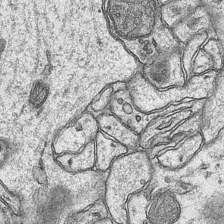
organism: Mouse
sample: CA1 Hippocampus